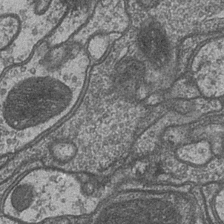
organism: Drosophila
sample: Optic medulla